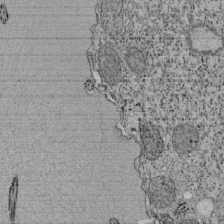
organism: Tetrahymena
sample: Cilia in tetrahymena